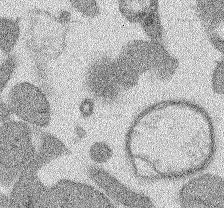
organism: Human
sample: HeLa cells